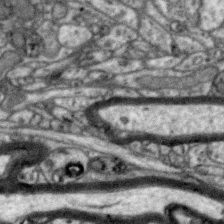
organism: Zebra finch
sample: Brain